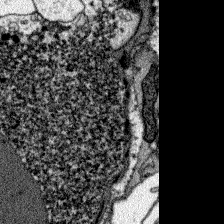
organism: Zebrafish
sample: Larval olfactory bulb